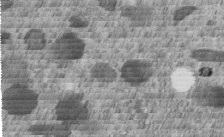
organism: C. elegans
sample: C. elegans embryo early stage